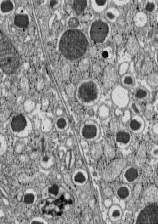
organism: C57BL Mouse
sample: Pancreatic islet